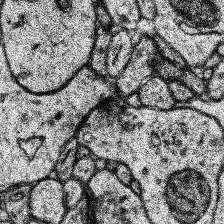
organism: Human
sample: Temporal Lobe